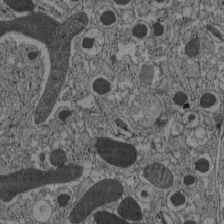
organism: C57BL Mouse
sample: Pancreatic islet